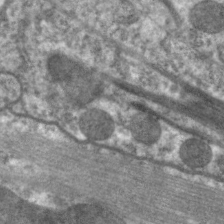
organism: C. elegans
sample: Pharynx